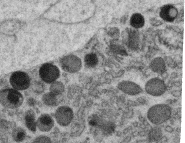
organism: C. elegans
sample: C. elegans oocyte; sperm cells